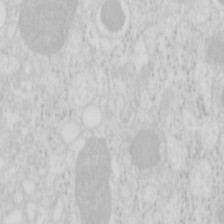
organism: Mouse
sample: Pancreas